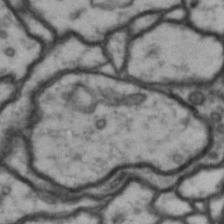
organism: Drosophila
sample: Brain